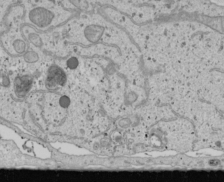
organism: Human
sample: Mitochondria in U2OS cells